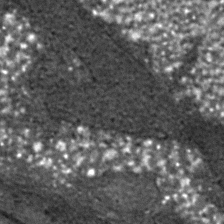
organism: C. elegans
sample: C. elegans embryo